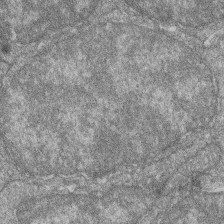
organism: Zebrafish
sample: Cilia; retinal pigment epithelium